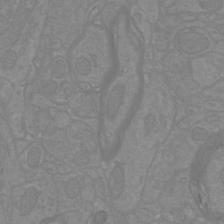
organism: Mouse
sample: Cortical neurons